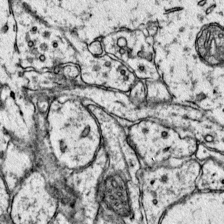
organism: Mouse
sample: Primary visual cortex